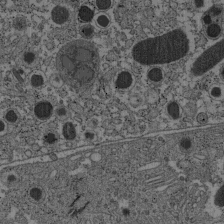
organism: C57BL Mouse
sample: Pancreatic islet